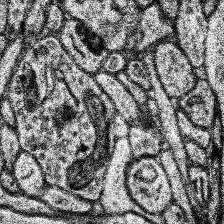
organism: Human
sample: Temporal Lobe